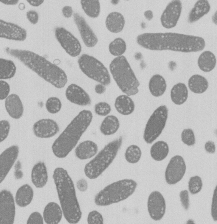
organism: E. coli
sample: Bacterial nucleoid